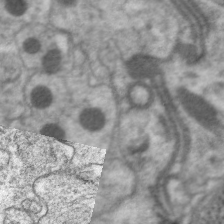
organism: C. elegans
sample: Pharynx